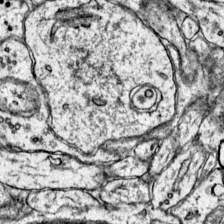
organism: Mouse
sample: Primary visual cortex